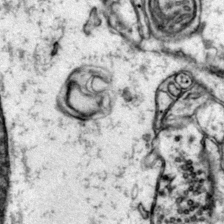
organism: Mouse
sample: Primary visual cortex